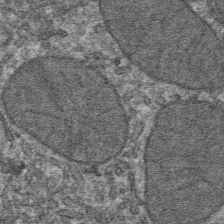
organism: Mouse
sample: Mouse hepatocytes